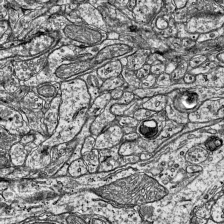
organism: Mouse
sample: Visual Cortex